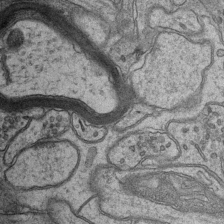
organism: Mouse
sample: CA1 Hippocampus